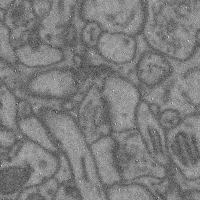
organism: Mouse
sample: Cerebral cortex